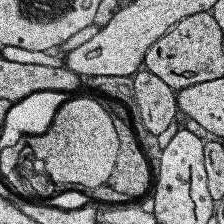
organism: Human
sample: Temporal Lobe